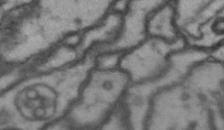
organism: Drosophila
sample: Brain